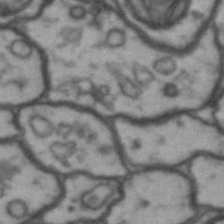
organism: Drosophila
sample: Brain